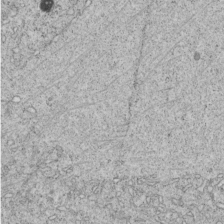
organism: C. elegans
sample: C. elegans embryo early stage